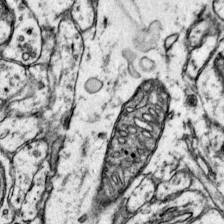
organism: Mouse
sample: Primary visual cortex